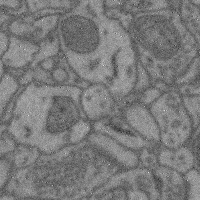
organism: Mouse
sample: Cerebral cortex